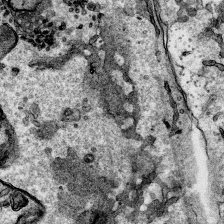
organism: Human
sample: Mitochondria in HCT116 cells